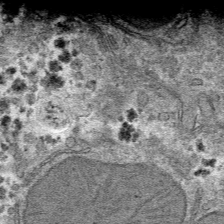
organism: Mouse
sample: Mouse hepatocytes